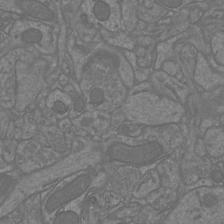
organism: Mouse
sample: Cortical neurons